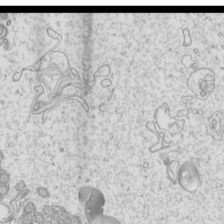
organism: Mouse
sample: Cilia; mouse epididymis